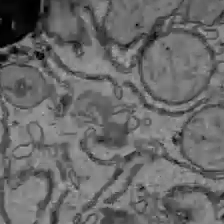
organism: C57BL Mouse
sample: Liver